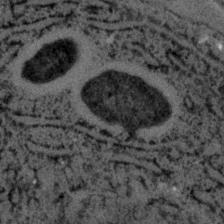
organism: C. elegans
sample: C. elegans embryo